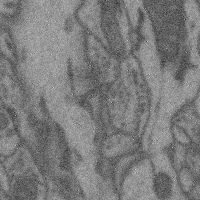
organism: Mouse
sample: Cerebral cortex